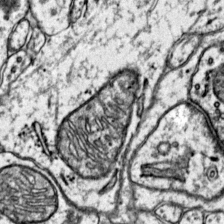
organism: Mouse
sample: Primary visual cortex